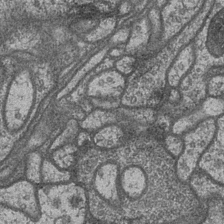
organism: Drosophila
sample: Optic medulla